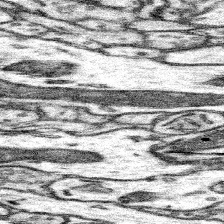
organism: Mouse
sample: Somatosensory cortex neuropil